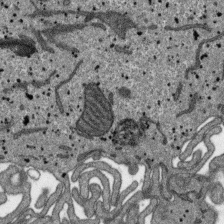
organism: Human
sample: Lung epithelial cells, uninfected (mock) control